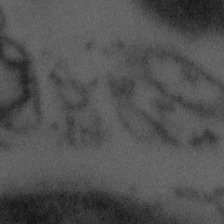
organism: Tuwongella immobilis